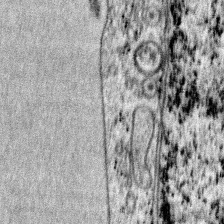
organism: Human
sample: HeLa cells